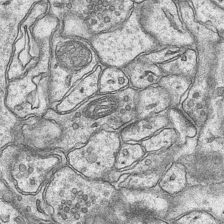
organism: Mouse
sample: CA1 Hippocampus